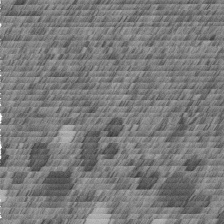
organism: C. elegans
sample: C. elegans embryo early stage